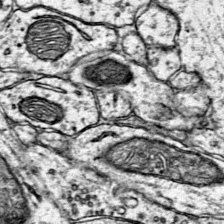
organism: Mouse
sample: Primary visual cortex